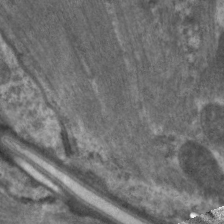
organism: C. elegans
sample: Pharynx